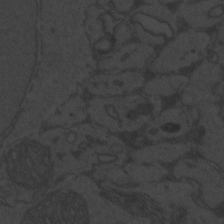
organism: Zebrafish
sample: Macrophage infected with Toxoplasma gondii